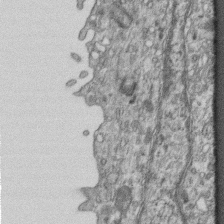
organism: Mouse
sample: Centriole in ependymal cells